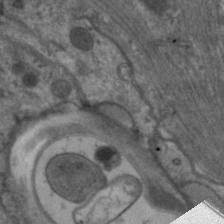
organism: C. elegans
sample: Pharynx